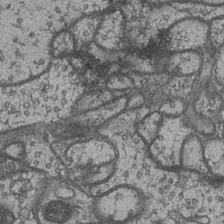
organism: Drosophila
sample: Optic medulla